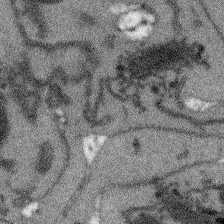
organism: Arabidopsis thaliana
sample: Root tip